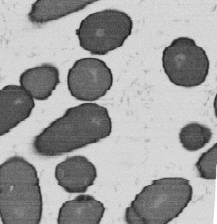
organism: B. subtilis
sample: Bacterial spore